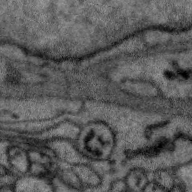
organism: Zebra finch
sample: Brain